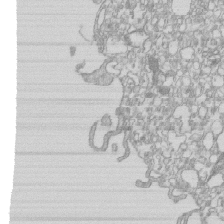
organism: Mouse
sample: Macrophages